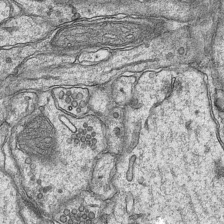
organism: Mouse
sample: CA1 Hippocampus